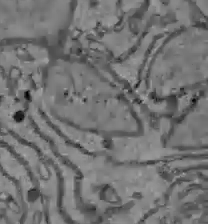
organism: C57BL Mouse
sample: Liver